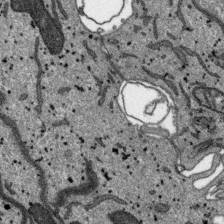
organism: Human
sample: Lung epithelial cells, uninfected (mock) control